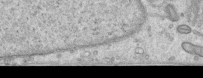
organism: Human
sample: Centriole in RPE cells